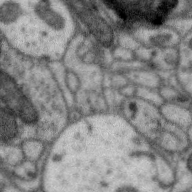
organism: Zebra finch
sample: Brain